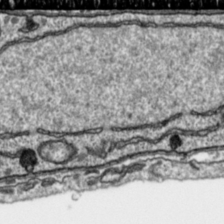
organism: Toxoplasma gondii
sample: Parasites in a vacuole inside a host cell